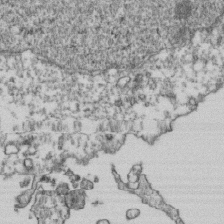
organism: Human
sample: Activated Jurkat CD4+ T cells